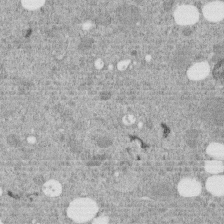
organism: C. elegans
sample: C. elegans embryo early stage